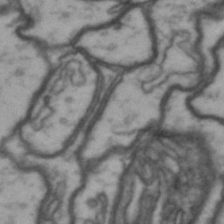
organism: Drosophila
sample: Brain